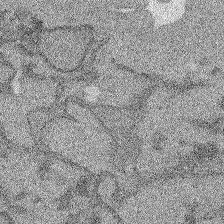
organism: Human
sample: HeLa cells